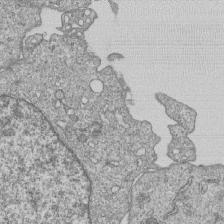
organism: Human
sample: MDA-MB-231 cells